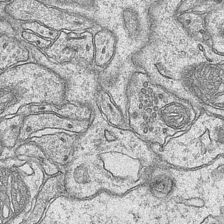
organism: Mouse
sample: CA1 Hippocampus